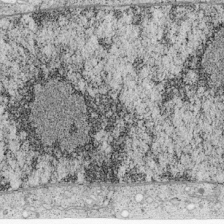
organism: African green monkey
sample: COS-7 cells